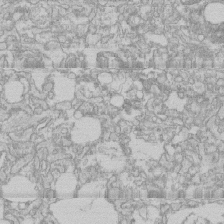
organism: Human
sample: CRL-1474